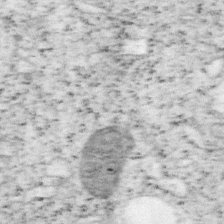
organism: Mouse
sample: OT-I killer T cells with ID8 ovarian cancer cells